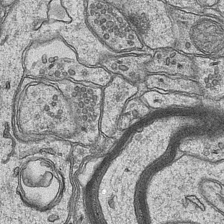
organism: Mouse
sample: CA1 Hippocampus